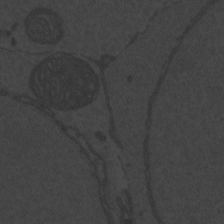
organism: Zebrafish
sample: Macrophage infected with Toxoplasma gondii